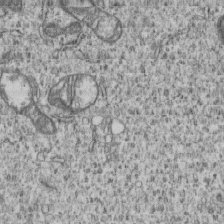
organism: Human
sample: MDA-MB-231 cells